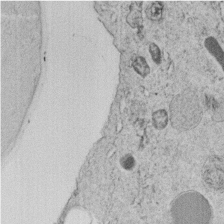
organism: C. elegans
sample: C. elegans embryo early stage